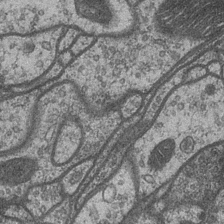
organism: Drosophila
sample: Optic medulla